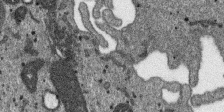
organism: Human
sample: Lung epithelial cells infected with SARS-CoV-2